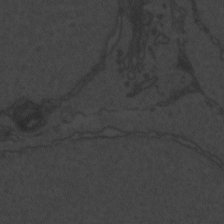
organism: Zebrafish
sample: Macrophage infected with Toxoplasma gondii